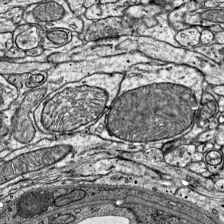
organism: Mouse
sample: Visual Cortex